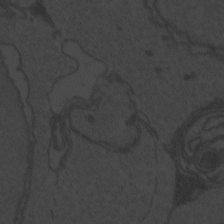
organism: Zebrafish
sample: Macrophage infected with Toxoplasma gondii